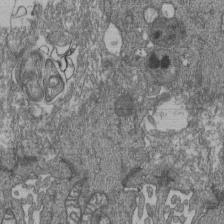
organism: Human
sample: Retinal organoid Rod and Cone cells